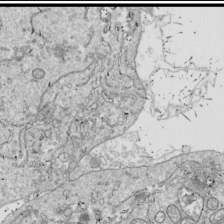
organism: Drosophila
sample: Cell division; meiosis; drosophila spermatocytes